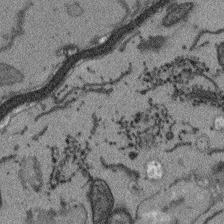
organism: Arabidopsis thaliana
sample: Root tip